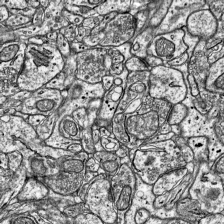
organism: Mouse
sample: Visual Cortex